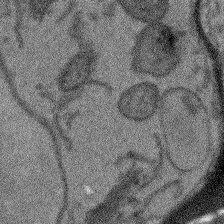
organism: Arabidopsis thaliana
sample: Root tip